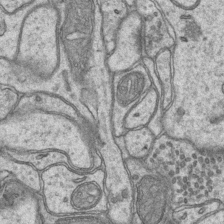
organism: Mouse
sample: CA1 Hippocampus